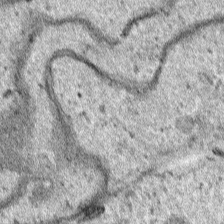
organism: Human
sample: Mitochondria in HCT116 cells